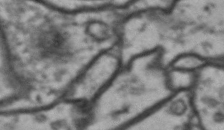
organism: Drosophila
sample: Brain